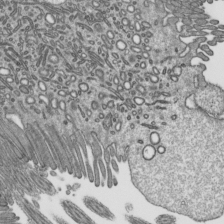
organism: Mouse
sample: Mouse epididymis efferent ductule cilia